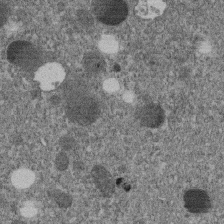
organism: C. elegans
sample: C. elegans embryo early stage